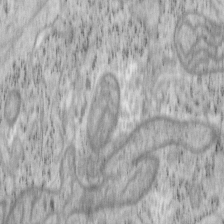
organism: Human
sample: HeLa cells